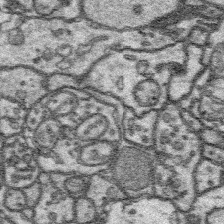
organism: Platynereis dumerilii